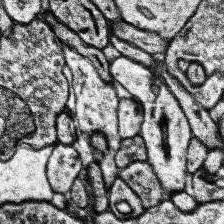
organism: Human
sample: Temporal Lobe